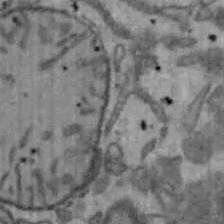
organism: Mouse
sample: Liver